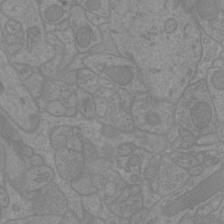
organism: Mouse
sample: Cortical neurons